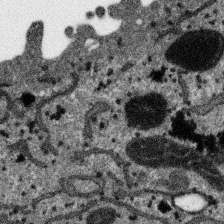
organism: Human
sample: Lung epithelial cells infected with SARS-CoV-2